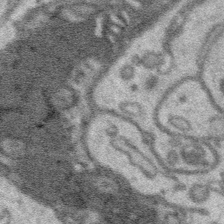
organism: Platynereis dumerilii